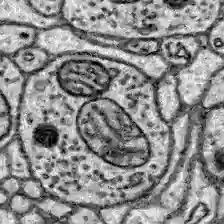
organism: Zebrafish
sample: Brain